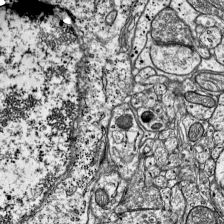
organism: Mouse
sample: Visual Cortex